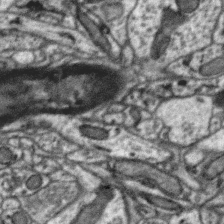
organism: Zebra finch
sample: Brain